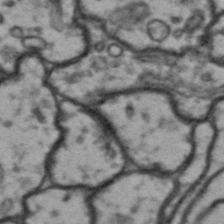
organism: Drosophila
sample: Brain